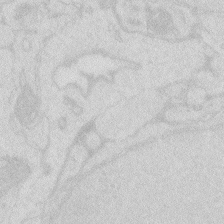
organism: Zebrafish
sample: Macrophage